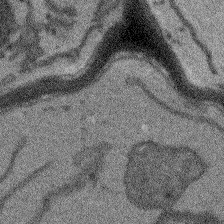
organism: Arabidopsis thaliana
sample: Root tip